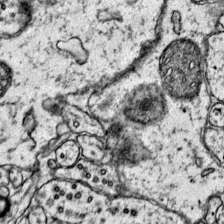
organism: Mouse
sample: Primary visual cortex